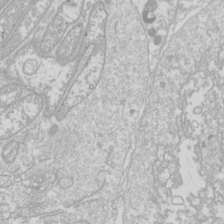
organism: Drosophila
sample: Cell division; meiosis; drosophila spermatocytes